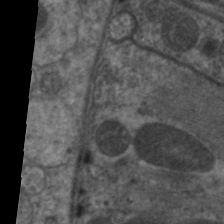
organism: C. elegans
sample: Pharynx